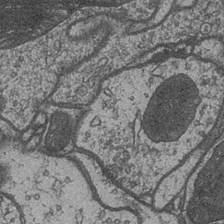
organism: Drosophila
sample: Optic medulla